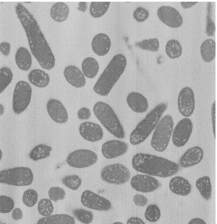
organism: E. coli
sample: Bacterial nucleoid